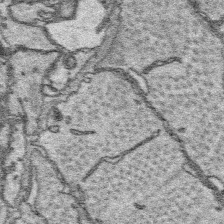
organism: Platynereis dumerilii